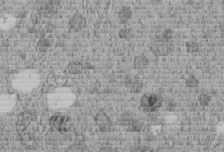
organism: C. elegans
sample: C. elegans embryo early stage